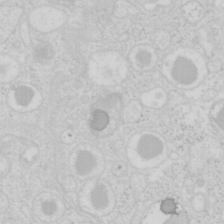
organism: Mouse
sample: Pancreas